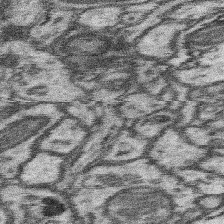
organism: Mouse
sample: Somatosensory cortex neuropil